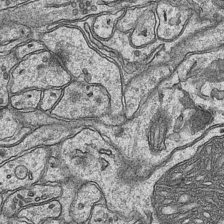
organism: Mouse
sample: CA1 Hippocampus